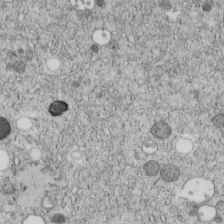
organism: C. elegans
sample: C. elegans embryo early stage